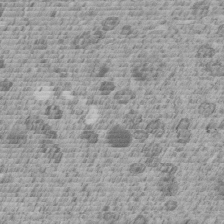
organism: C. elegans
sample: C. elegans embryo early stage